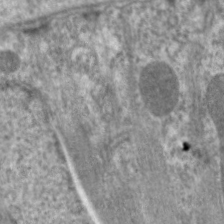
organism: C. elegans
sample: Pharynx